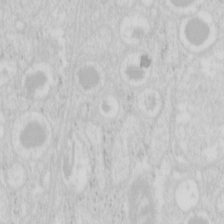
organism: Mouse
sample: Pancreas